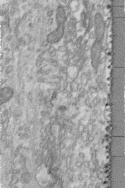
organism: Human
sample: Centriole in fibroblast cells